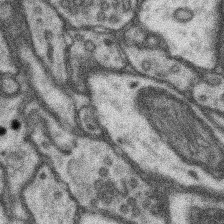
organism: Mouse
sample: Somatosensory cortex neuropil